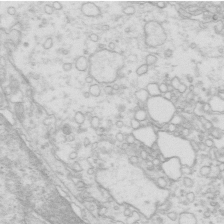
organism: Mouse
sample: Multiciliated cells